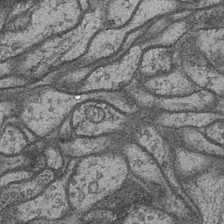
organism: Drosophila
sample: Optic medulla